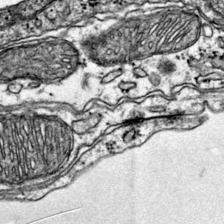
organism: Mouse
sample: Primary visual cortex